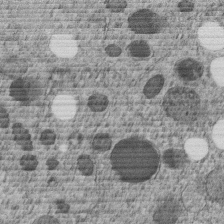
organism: C. elegans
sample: C. elegans embryo early stage